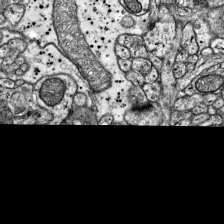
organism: Mouse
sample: Visual Cortex